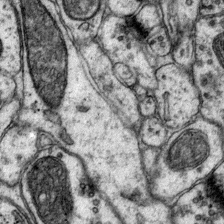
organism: Mouse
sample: Primary visual cortex